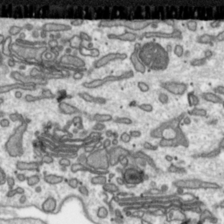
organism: Toxoplasma gondii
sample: Parasites in a vacuole inside a host cell